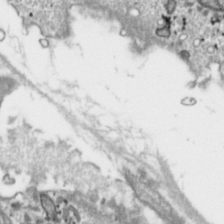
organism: Toxoplasma gondii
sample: Parasites in a vacuole inside a host cell